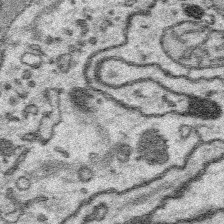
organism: Platynereis dumerilii